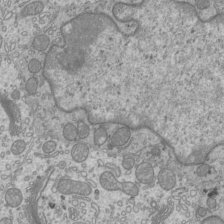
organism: Mouse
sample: Cilia; mouse epididymis